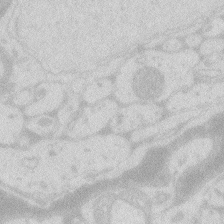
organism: Zebrafish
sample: Macrophage